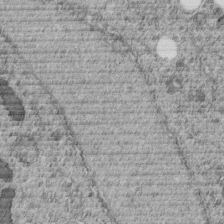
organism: C. elegans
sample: C. elegans embryo early stage